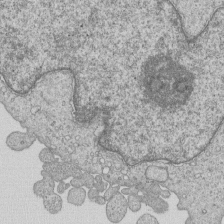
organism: Human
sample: MDA-MB-231 cells